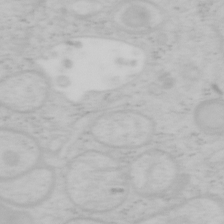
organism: Mouse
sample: OT-I killer T cells with ID8 ovarian cancer cells